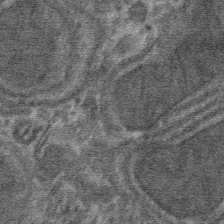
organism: Mouse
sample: Mouse hepatocytes